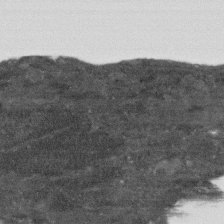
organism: Human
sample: Fibroblast cells